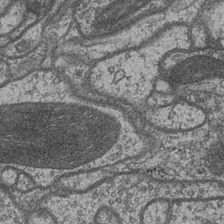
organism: Drosophila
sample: Optic medulla